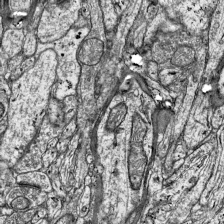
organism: Mouse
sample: Visual Cortex